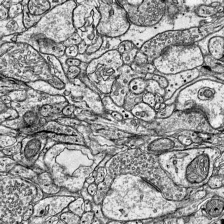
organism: Mouse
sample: Visual Cortex